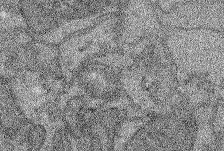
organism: Human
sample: HeLa cells